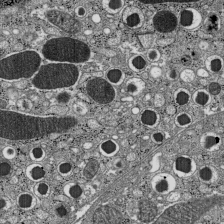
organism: C57BL Mouse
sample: Pancreatic islet